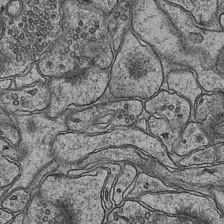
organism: Mouse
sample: CA1 Hippocampus